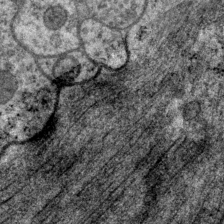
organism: P. pacificus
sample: Pharynx